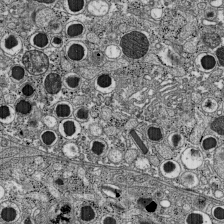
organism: C57BL Mouse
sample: Pancreatic islet